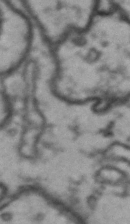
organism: Drosophila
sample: Brain